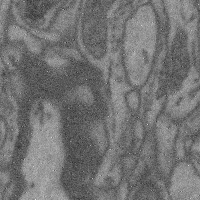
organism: Mouse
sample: Cerebral cortex